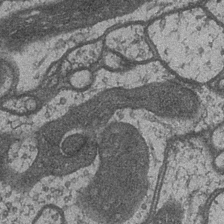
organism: Drosophila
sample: Optic medulla